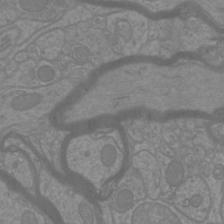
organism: Mouse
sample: Cortical neurons